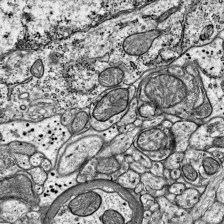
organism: Mouse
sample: Visual Cortex